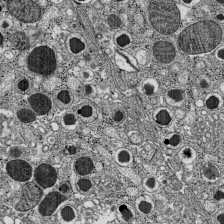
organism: C57BL Mouse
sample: Pancreatic islet